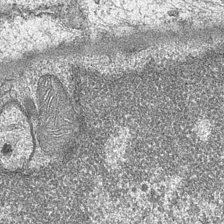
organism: Mouse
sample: CA1 Hippocampus